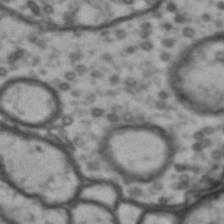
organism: Drosophila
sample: Brain